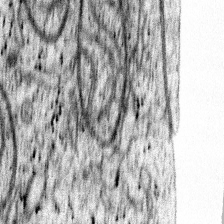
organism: Human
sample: HeLa cells